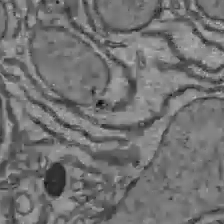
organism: C57BL Mouse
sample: Liver